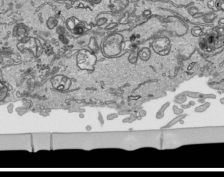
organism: Human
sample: Mitochondria in HCT116 cells